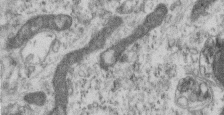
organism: Mouse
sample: Centriole in ependymal cells